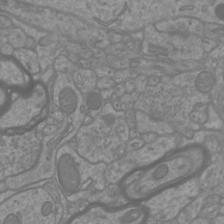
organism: Mouse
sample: Cortical neurons